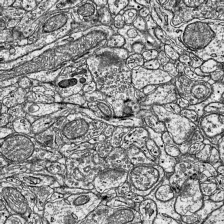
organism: Mouse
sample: Visual Cortex